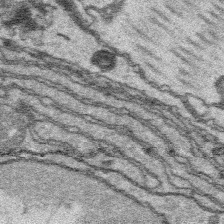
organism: Platynereis dumerilii